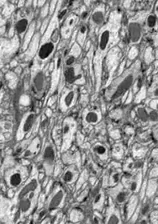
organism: Drosophila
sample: Optic lobe